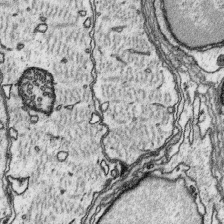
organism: Platynereis dumerilii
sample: Parapodia